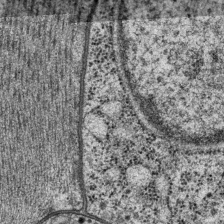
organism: P. pacificus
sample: Pharynx